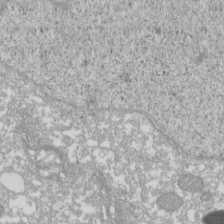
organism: Xenopus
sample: Cilia; centrioles in frog embryo cells